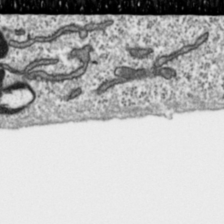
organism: Toxoplasma gondii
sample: Parasites in a vacuole inside a host cell